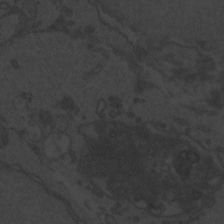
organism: Zebrafish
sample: Macrophage infected with Toxoplasma gondii